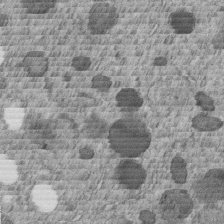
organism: C. elegans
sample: C. elegans embryo early stage